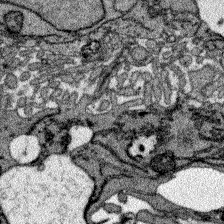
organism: Zebrafish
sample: Larval olfactory bulb